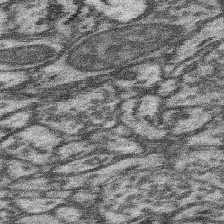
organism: Mouse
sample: Somatosensory cortex neuropil